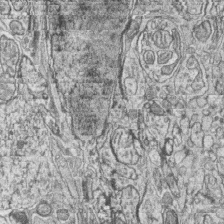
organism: Zebrafish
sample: synaptic ribbons in rod cells and cone cells